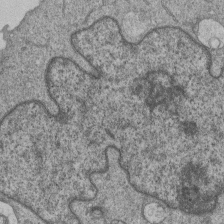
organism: Human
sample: MDA-MB-231 cells